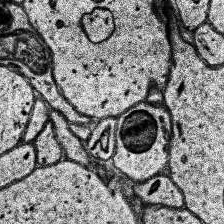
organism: Human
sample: Temporal Lobe